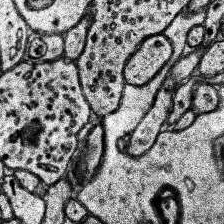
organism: Human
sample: Temporal Lobe